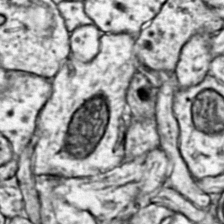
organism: Mouse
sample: Primary visual cortex